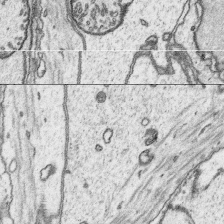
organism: Platynereis dumerilii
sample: Parapodia